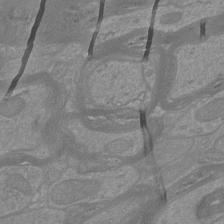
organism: Mouse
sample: Cortical neurons